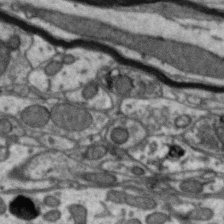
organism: Zebra finch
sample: Brain